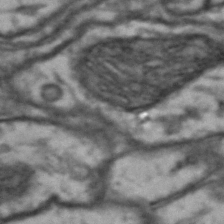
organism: Drosophila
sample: Brain